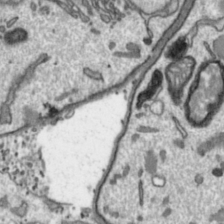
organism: Toxoplasma gondii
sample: Parasites in a vacuole inside a host cell